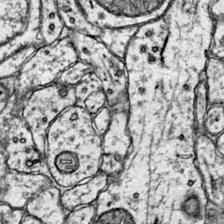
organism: Mouse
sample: Primary visual cortex